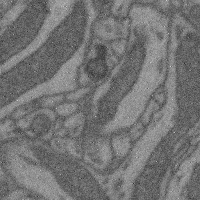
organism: Mouse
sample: Cerebral cortex